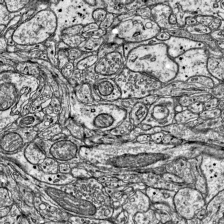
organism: Mouse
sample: Visual Cortex